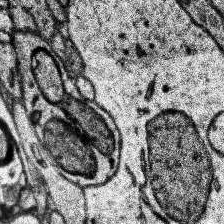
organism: Human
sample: Temporal Lobe